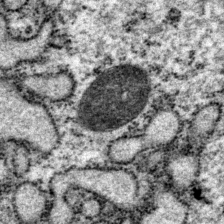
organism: P. pacificus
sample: Pharynx